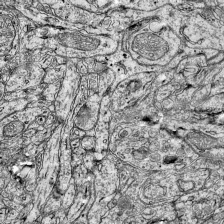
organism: Mouse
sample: Visual Cortex